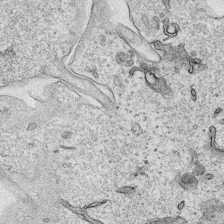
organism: Human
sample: Mitochondria in HCT116 cells